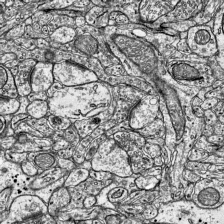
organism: Mouse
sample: Visual Cortex